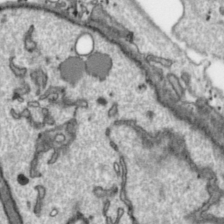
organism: Toxoplasma gondii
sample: Parasites in a vacuole inside a host cell